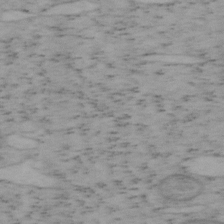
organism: Mouse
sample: OT-I killer T cells with ID8 ovarian cancer cells